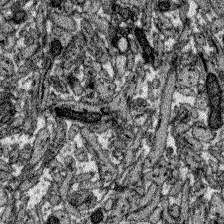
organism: Zebrafish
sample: Larval olfactory bulb